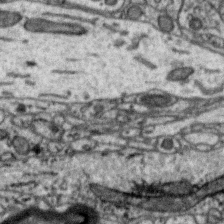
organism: Zebra finch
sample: Brain